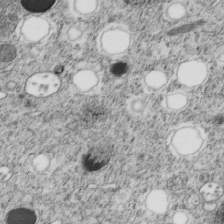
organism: C. elegans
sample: C. elegans embryo early stage